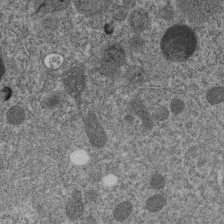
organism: C. elegans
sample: C. elegans embryo early stage